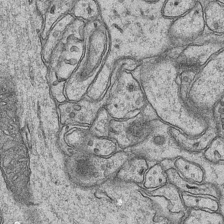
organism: Mouse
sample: CA1 Hippocampus